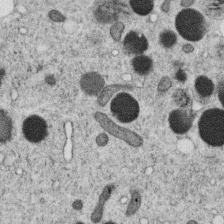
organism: C. elegans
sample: C. elegans oocyte; sperm cells